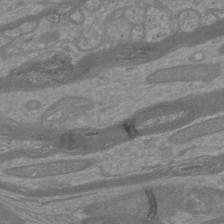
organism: Mouse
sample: Cortical neurons